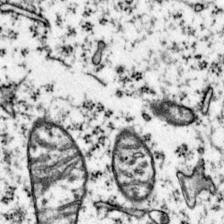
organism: Mouse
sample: Primary visual cortex